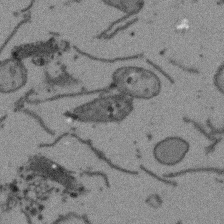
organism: Arabidopsis thaliana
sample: Root tip